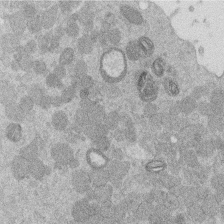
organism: Mouse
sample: Dividing mouse embryo 1 cell stage